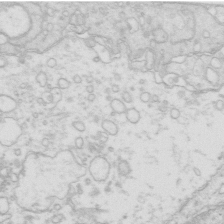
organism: Mouse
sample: Multiciliated cells